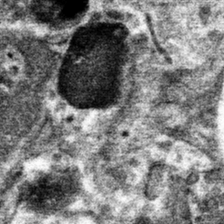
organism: Mouse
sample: Mouse hepatocytes